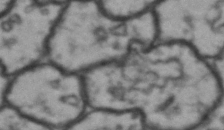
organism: Drosophila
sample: Brain